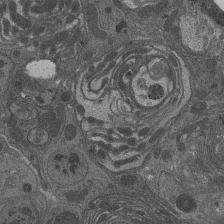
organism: Drosophila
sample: Antenna